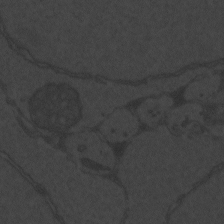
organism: Zebrafish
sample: Macrophage infected with Toxoplasma gondii